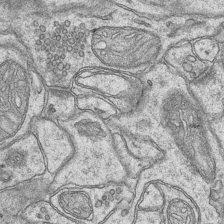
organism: Mouse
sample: CA1 Hippocampus